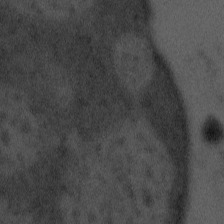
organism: Tuwongella immobilis